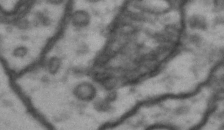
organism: Drosophila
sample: Brain